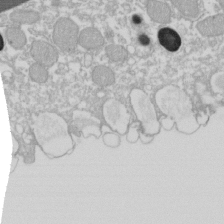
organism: Xenopus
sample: Cilia; centrioles in frog embryo cells